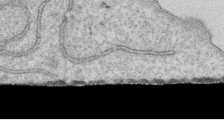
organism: Human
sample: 1205lu cells